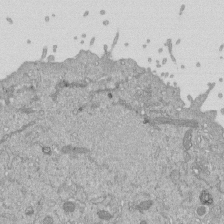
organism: Mouse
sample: ED-1 cell nuclei; centrioles